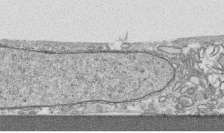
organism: Human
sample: CRL-1474